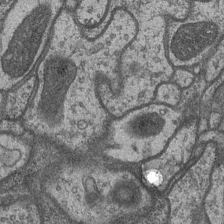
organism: Drosophila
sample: Optic medulla